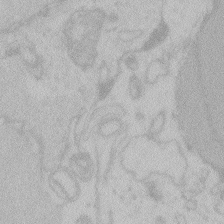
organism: Zebrafish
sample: Macrophage infected with Toxoplasma gondii